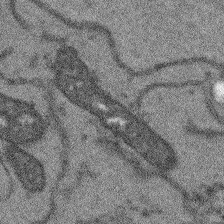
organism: Arabidopsis thaliana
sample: Root tip